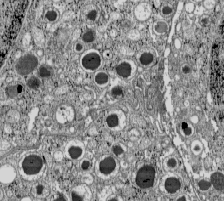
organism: C57BL Mouse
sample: Pancreatic islet